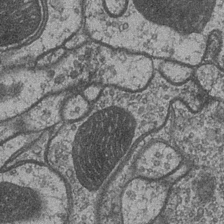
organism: Drosophila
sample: Optic medulla